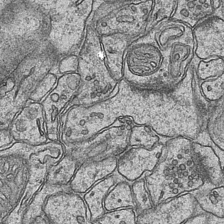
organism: Mouse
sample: CA1 Hippocampus